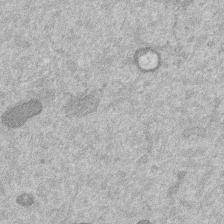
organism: Mouse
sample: Dividing mouse embryo 1 cell stage